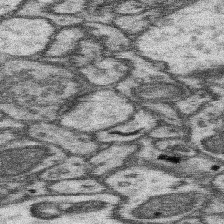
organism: Mouse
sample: Somatosensory cortex neuropil